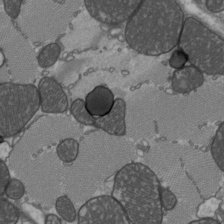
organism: C57BL Mouse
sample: Heart